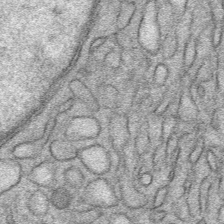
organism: Mouse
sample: Mouse Salivary gland